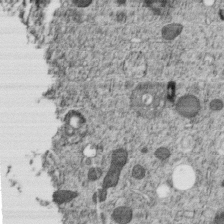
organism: C. elegans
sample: C. elegans embryo early stage